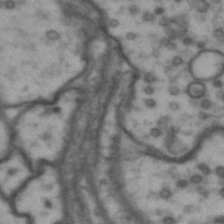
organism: Drosophila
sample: Brain